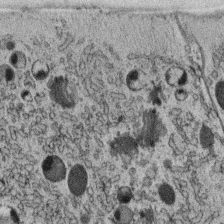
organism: C. elegans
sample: C. elegans oocyte; sperm cells